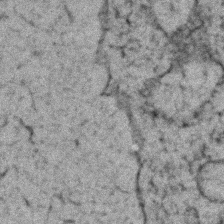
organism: Zebrafish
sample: Zebrafish embryo